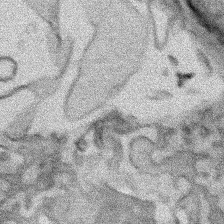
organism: Human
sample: Mitochondria in HCT116 cells